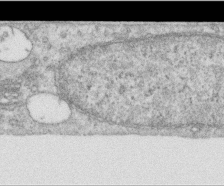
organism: Human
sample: Centriole in RPE cells